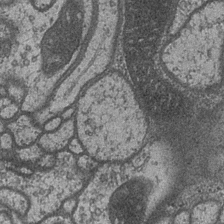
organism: Drosophila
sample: Optic medulla